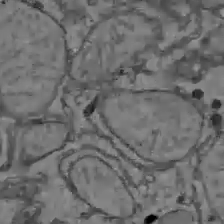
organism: C57BL Mouse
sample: Liver